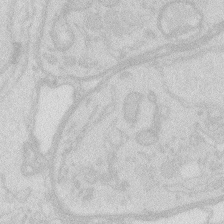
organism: Zebrafish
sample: Macrophage